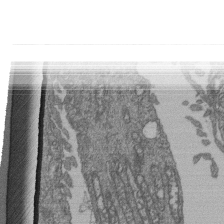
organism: Human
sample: Retinal organoid Rod and Cone cells